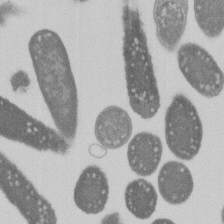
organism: E. coli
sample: Bacterial nucleoid